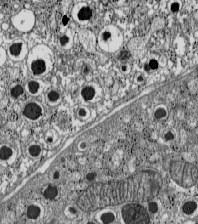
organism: C57BL Mouse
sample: Pancreatic islet